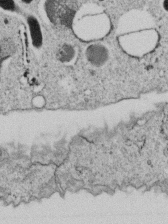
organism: C. elegans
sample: C. elegans embryo early stage